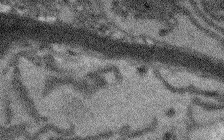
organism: Arabidopsis thaliana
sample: Root tip